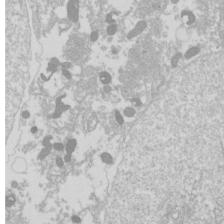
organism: Drosophila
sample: Cell division; meiosis; drosophila spermatocytes